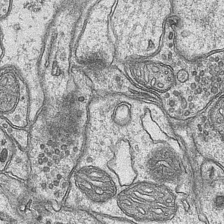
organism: Mouse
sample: CA1 Hippocampus